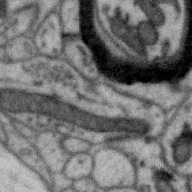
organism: Zebra finch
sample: Brain